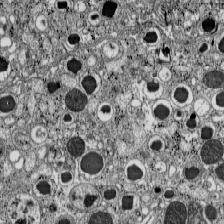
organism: C57BL Mouse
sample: Pancreatic islet